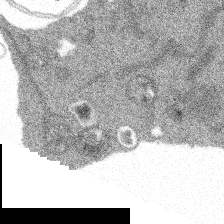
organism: Spongilla lacustris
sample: Multiple